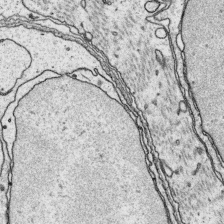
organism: Platynereis dumerilii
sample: Parapodia